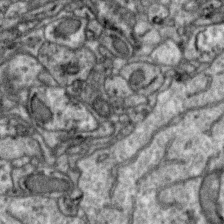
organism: Zebra finch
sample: Brain